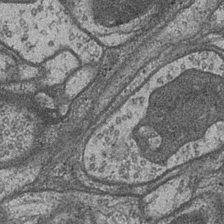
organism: Drosophila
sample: Optic medulla